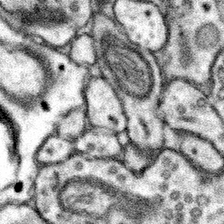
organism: Mouse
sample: Somatosensory cortex neuropil